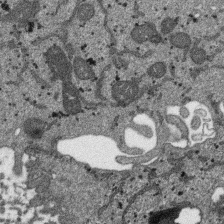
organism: Human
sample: Lung epithelial cells infected with SARS-CoV-2